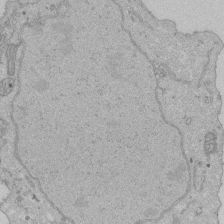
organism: Human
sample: Activated Jurkat CD4+ T cells